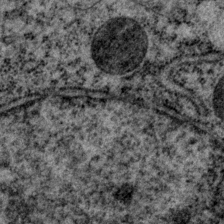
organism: P. pacificus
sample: Pharynx